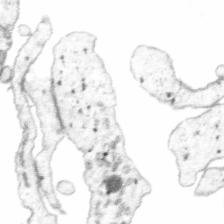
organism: Human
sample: HeLa cells